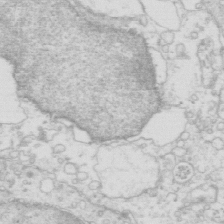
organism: Mouse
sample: Multiciliated cells